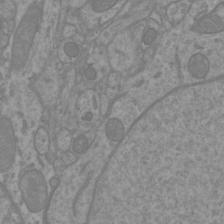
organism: Mouse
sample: Cortical neurons